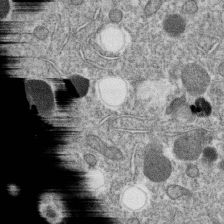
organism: C. elegans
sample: C. elegans oocyte; sperm cells